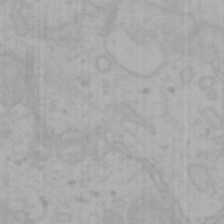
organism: Mouse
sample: Choroid plexus